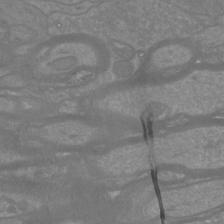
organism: Mouse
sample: Cortical neurons